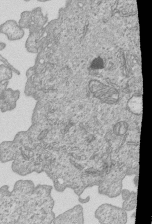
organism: Human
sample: MDA-MB-231 cells